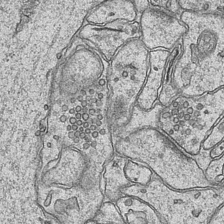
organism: Mouse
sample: CA1 Hippocampus